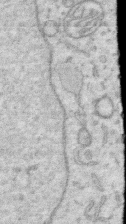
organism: Human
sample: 1205lu cells